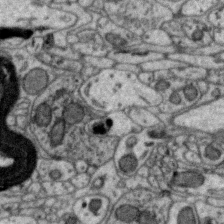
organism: Zebra finch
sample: Brain